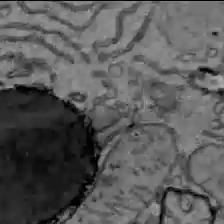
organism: C57BL Mouse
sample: Liver